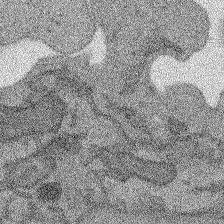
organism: Human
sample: HeLa cells